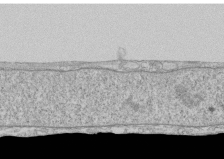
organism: Human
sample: CRL-1474